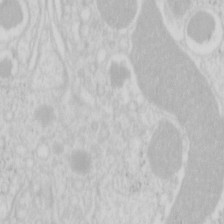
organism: Mouse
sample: Pancreas